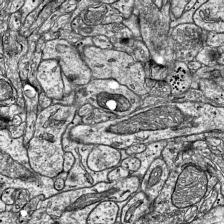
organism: Mouse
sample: Visual Cortex